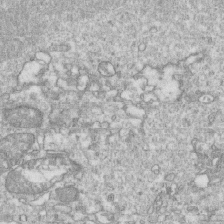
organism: Mouse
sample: Activated OT-1 CD8+ T cells